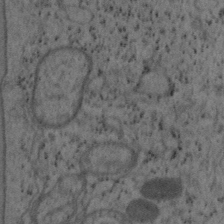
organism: Human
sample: HeLa cells